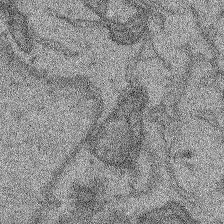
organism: Human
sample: HeLa cells